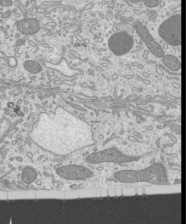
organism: Mouse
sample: Cilia; mouse epididymis